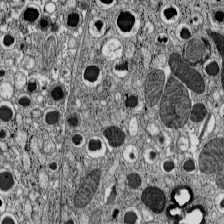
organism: C57BL Mouse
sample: Pancreatic islet